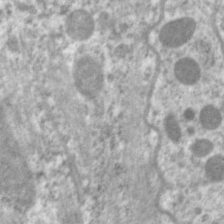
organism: C. elegans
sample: Pharynx